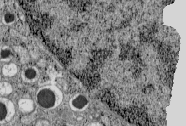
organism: C57BL Mouse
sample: Pancreatic islet